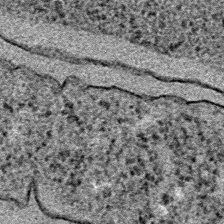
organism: E. coli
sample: E. Coli Bacteria